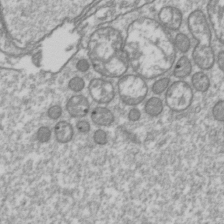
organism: Drosophila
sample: Cell division; meiosis; drosophila spermatocytes